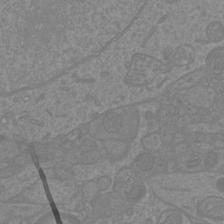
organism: Mouse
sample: Cortical neurons